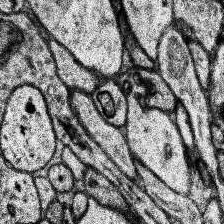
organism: Human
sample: Temporal Lobe